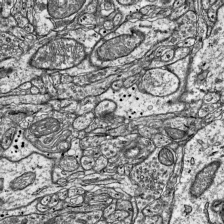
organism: Mouse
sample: Visual Cortex